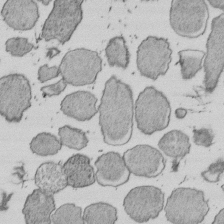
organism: E. coli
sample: Bacterial nucleoid